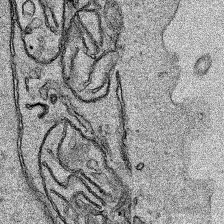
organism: Human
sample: Mitochondria in HCT116 cells